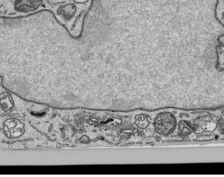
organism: Human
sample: Mitochondria in HCT116 cells